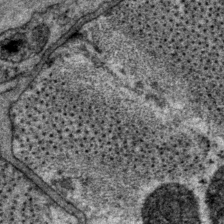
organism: P. pacificus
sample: Pharynx